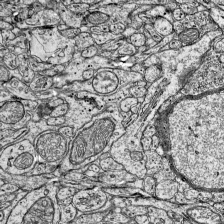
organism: Mouse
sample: Visual Cortex